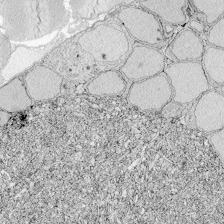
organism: Zebrafish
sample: Whole-Brain